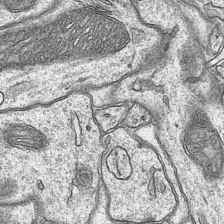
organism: Mouse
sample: CA1 Hippocampus